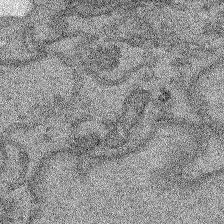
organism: Human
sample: HeLa cells